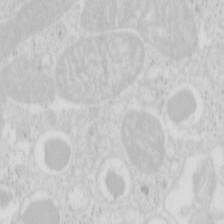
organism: Mouse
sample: Pancreas